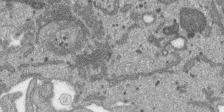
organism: Human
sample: Lung epithelial cells infected with SARS-CoV-2